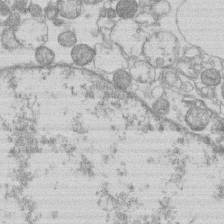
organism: Human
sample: Macrophage cells